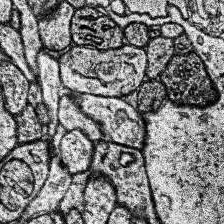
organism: Human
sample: Temporal Lobe